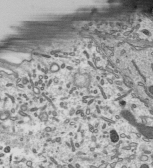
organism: Mouse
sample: Mouse epididymis efferent ductule cilia